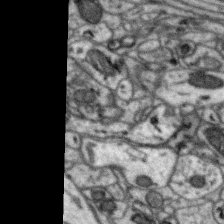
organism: Zebra finch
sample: Brain